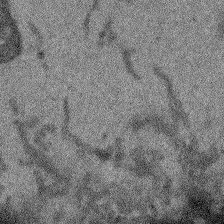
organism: Arabidopsis thaliana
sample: Root tip